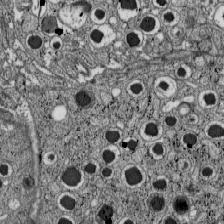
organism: C57BL Mouse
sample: Pancreatic islet